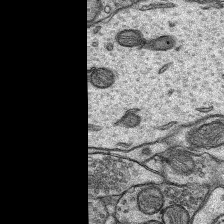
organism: Rat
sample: Hippocampus